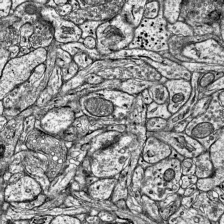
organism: Mouse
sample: Visual Cortex